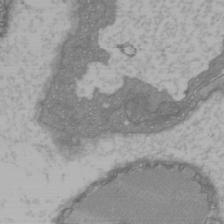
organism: C57BL Mouse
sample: Heart